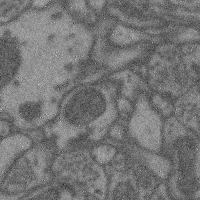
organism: Mouse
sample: Cerebral cortex